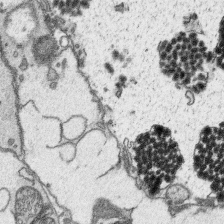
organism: Platynereis dumerilii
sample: Parapodia